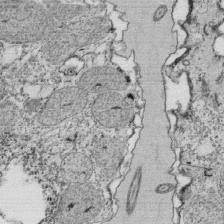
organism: Tetrahymena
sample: Cilia in tetrahymena